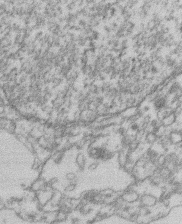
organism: Mouse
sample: T cell stromal cell synapse